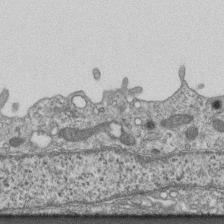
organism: Mouse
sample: Centriole in ependymal cells